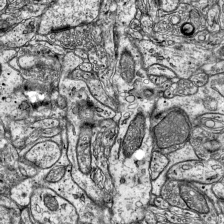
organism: Mouse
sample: Visual Cortex